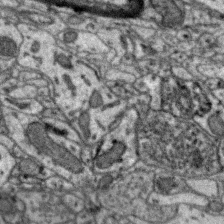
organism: Zebra finch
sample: Brain